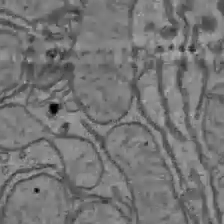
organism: C57BL Mouse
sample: Liver